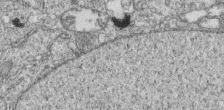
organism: Human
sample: HeLa cell HIV synapse